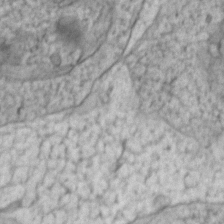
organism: Zebrafish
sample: Zebrafish embryo